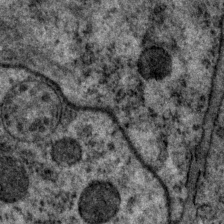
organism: P. pacificus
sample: Pharynx